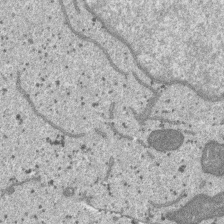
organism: Human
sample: Lung epithelial cells infected with SARS-CoV-2